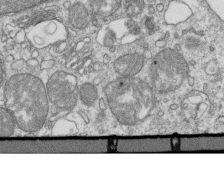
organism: Mouse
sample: Activated OT-1 CD8+ T cells